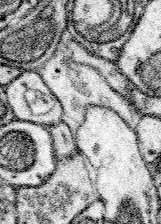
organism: Mouse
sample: Somatosensory cortex neuropil